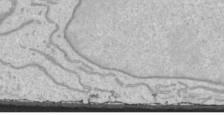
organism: Human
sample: Mitochondria in HCT116 cells